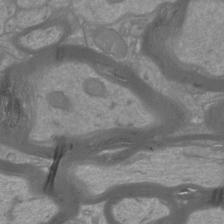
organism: Mouse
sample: Cortical neurons